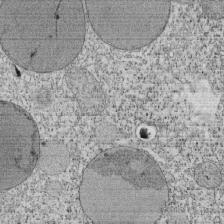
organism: Tetrahymena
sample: Cilia in tetrahymena